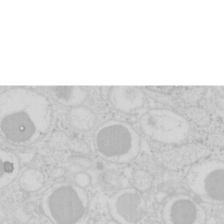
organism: Mouse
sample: Pancreas